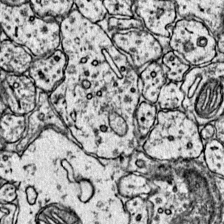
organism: Mouse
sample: Primary visual cortex